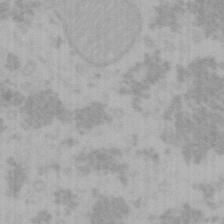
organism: Mouse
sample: Choroid plexus